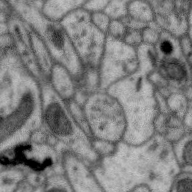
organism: Zebra finch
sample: Brain